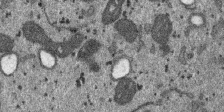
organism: Human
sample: Lung epithelial cells infected with SARS-CoV-2